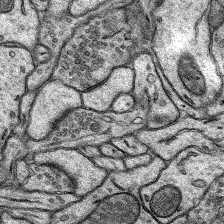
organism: Rat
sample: Hippocampus